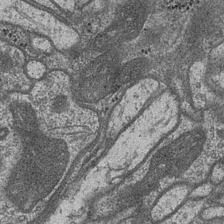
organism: Drosophila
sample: Optic medulla